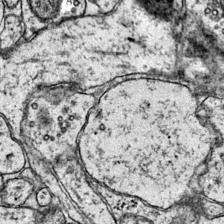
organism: Mouse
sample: Primary visual cortex